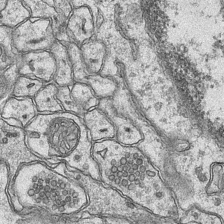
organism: Mouse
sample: CA1 Hippocampus